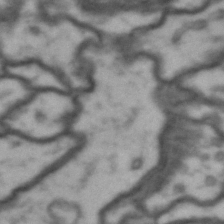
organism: Drosophila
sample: Brain